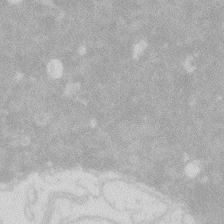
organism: Zebrafish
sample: Macrophage